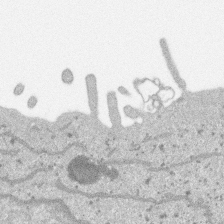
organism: Human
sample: Lung epithelial cells infected with SARS-CoV-2